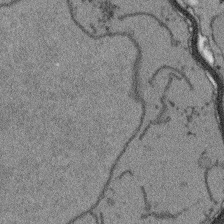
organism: Arabidopsis thaliana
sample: Root tip